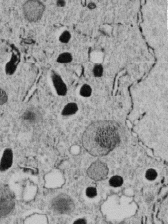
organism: C. elegans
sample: C. elegans embryo early stage